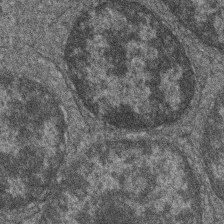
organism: Zebrafish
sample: Cilia; retinal pigment epithelium